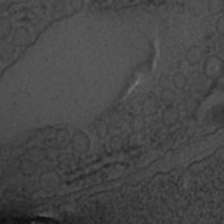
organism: C. elegans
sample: C. elegans embryo